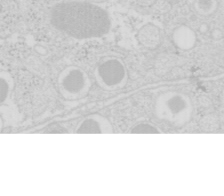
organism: Mouse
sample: Pancreas